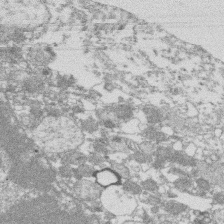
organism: Human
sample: HeLa cell HIV synapse